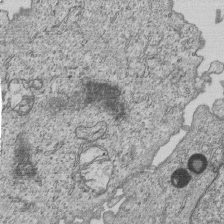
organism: Human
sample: MDA-MB-231 cells